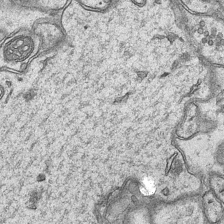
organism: Mouse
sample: CA1 Hippocampus